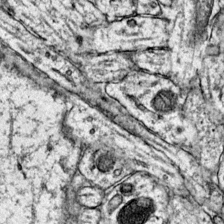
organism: Mouse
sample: Primary visual cortex